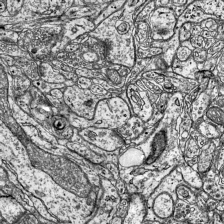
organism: Mouse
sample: Visual Cortex